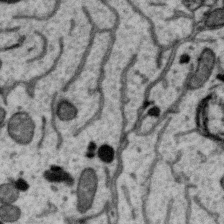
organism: Zebra finch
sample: Brain